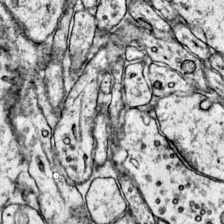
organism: Mouse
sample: Primary visual cortex